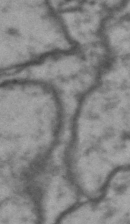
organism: Drosophila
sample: Brain